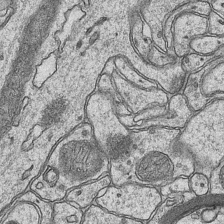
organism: Mouse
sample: CA1 Hippocampus